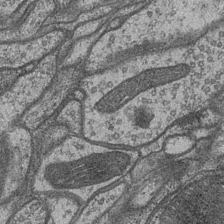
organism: Drosophila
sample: Optic medulla